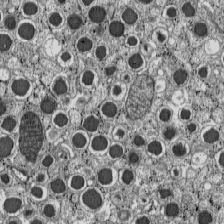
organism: C57BL Mouse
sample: Pancreatic islet